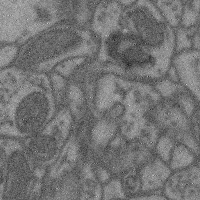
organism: Mouse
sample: Cerebral cortex